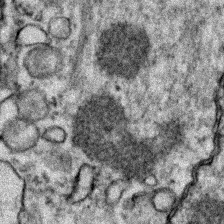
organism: Zebrafish